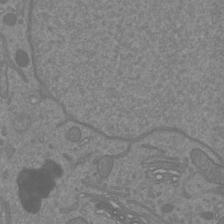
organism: Mouse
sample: Cortical neurons